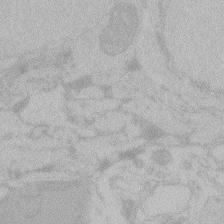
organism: Zebrafish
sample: Macrophage infected with Toxoplasma gondii